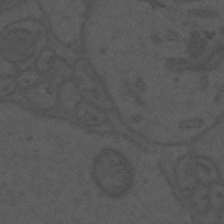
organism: Mouse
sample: Suprachiasmatic nucleus